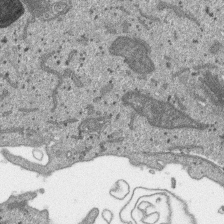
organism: Human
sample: Lung epithelial cells infected with SARS-CoV-2